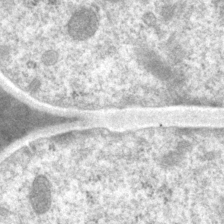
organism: P. pacificus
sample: Pharynx